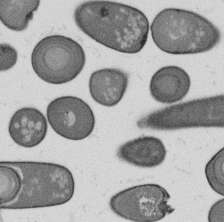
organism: B. subtilis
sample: Bacterial spore